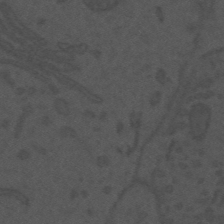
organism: Mouse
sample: Suprachiasmatic nucleus